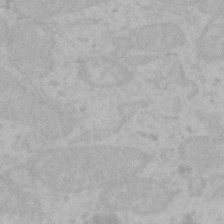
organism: Mouse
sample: Choroid plexus